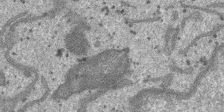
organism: Human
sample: Lung epithelial cells infected with SARS-CoV-2